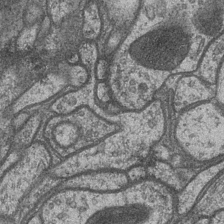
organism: Drosophila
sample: Optic medulla